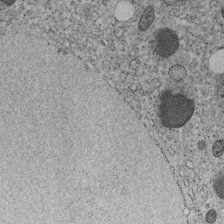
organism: C. elegans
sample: C. elegans embryo early stage